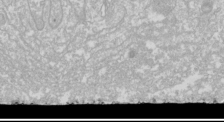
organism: Drosophila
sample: Cell division; meiosis; drosophila spermatocytes